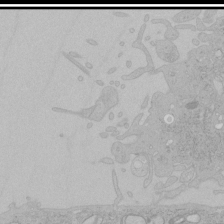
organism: Human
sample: Mitochondria in HCT116 cells